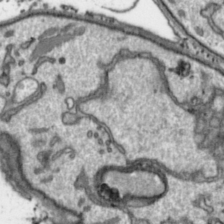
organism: Toxoplasma gondii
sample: Parasites in a vacuole inside a host cell